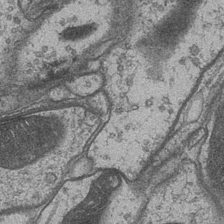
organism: Drosophila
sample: Optic medulla